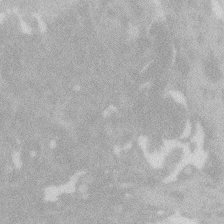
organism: Zebrafish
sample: Macrophage